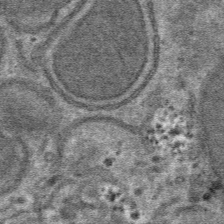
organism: Mouse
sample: Mouse hepatocytes